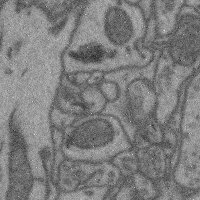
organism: Mouse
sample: Cerebral cortex